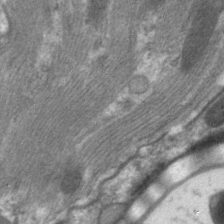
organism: C. elegans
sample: Pharynx